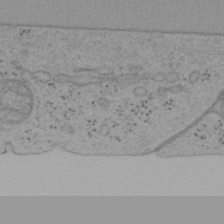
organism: Human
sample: HeLa cells